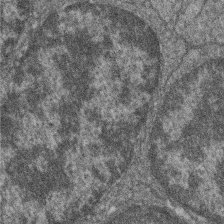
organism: Zebrafish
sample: Cilia; retinal pigment epithelium